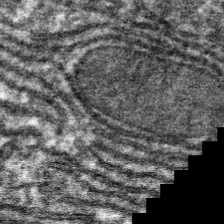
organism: Mouse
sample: Mouse hepatocytes